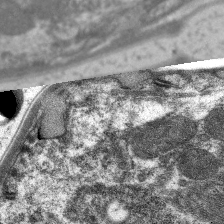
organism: C. elegans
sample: Pharynx